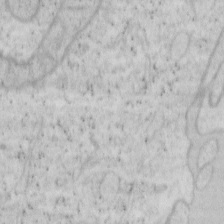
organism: Human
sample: HeLa cells